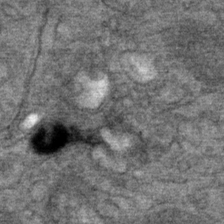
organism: Mouse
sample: Mouse Salivary gland